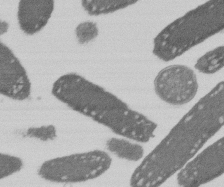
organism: E. coli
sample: Bacterial nucleoid